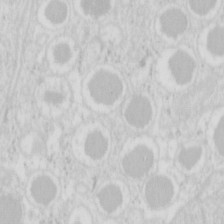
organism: Mouse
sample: Pancreas